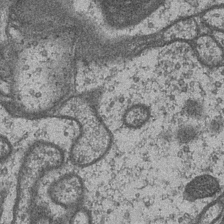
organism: Drosophila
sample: Optic medulla